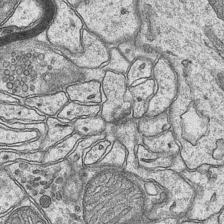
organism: Mouse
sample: CA1 Hippocampus